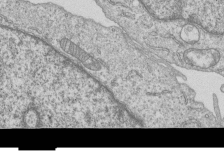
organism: Human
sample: MDA-MB-231 cells